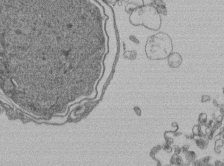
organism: Human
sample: Retinal organoid Rod and Cone cells